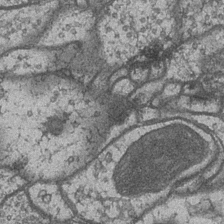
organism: Drosophila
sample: Optic medulla